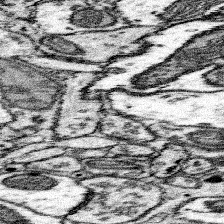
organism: Mouse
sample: Somatosensory cortex neuropil